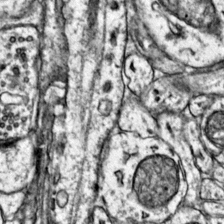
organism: Mouse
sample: Primary visual cortex